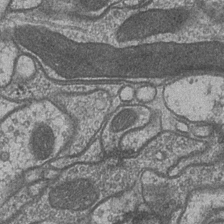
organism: Drosophila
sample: Optic medulla